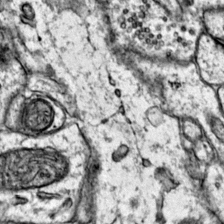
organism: Mouse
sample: Primary visual cortex